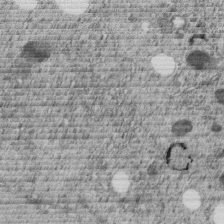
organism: C. elegans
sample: C. elegans embryo early stage